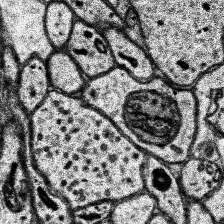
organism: Human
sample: Temporal Lobe